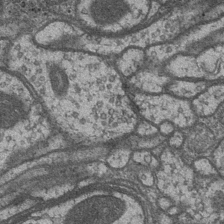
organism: Drosophila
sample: Optic medulla